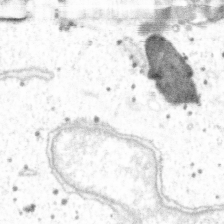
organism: Human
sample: HeLa cells